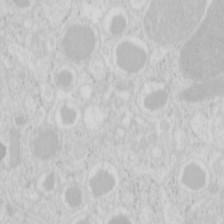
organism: Mouse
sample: Pancreas